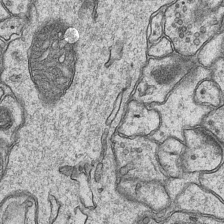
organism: Mouse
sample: CA1 Hippocampus